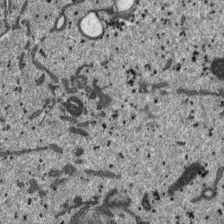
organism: Human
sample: Lung epithelial cells infected with SARS-CoV-2